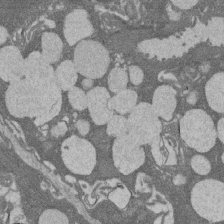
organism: Rat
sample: Salivary granule